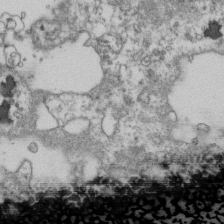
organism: Human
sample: Activated Jurkat CD4+ T cells